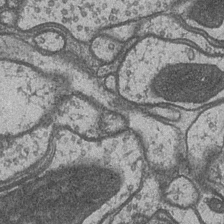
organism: Drosophila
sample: Optic medulla